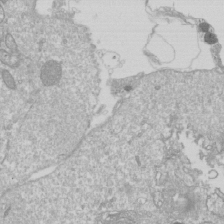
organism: Drosophila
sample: Cell division; meiosis; drosophila spermatocytes